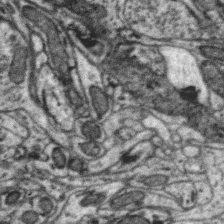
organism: Zebra finch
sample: Brain